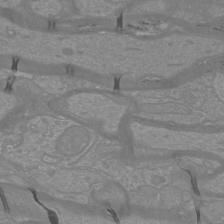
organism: Mouse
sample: Cortical neurons